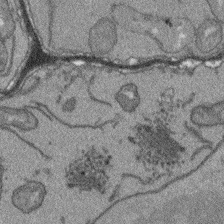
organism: Arabidopsis thaliana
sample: Root tip